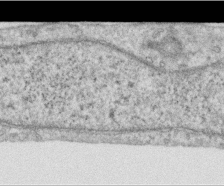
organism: Human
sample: Centriole in RPE cells